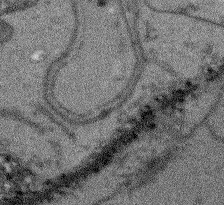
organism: Arabidopsis thaliana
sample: Root tip